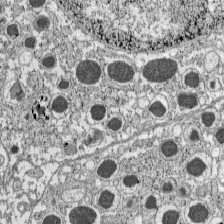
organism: C57BL Mouse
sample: Pancreatic islet